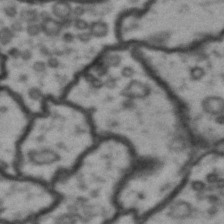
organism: Drosophila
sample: Brain